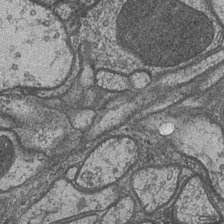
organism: Drosophila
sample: Optic medulla